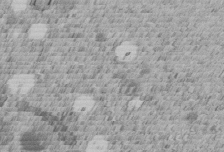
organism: C. elegans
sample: C. elegans embryo early stage